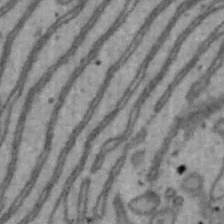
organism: Mouse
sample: Liver